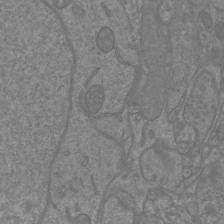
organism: Mouse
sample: Cortical neurons